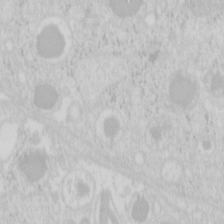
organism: Mouse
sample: Pancreas